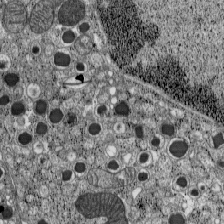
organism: C57BL Mouse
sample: Pancreatic islet